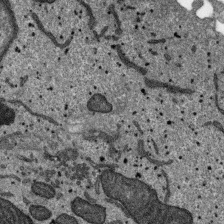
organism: Human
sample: Lung epithelial cells, uninfected (mock) control